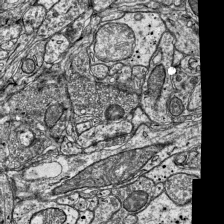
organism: Mouse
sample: Visual Cortex